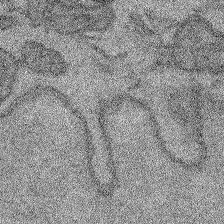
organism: Human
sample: HeLa cells